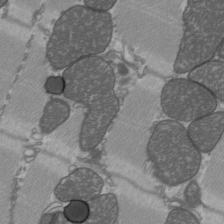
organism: C57BL Mouse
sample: Heart